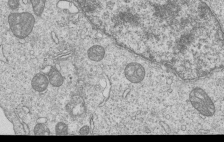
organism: Human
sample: MDA-MB-231 cells